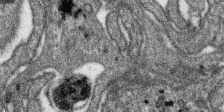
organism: Human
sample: Lung epithelial cells infected with SARS-CoV-2